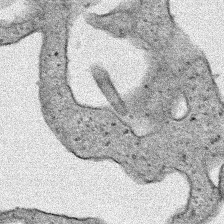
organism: Human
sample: Mitochondria in HCT116 cells